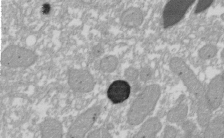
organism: Xenopus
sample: Cilia; centrioles in frog embryo cells